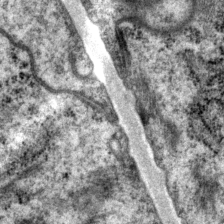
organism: P. pacificus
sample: Pharynx